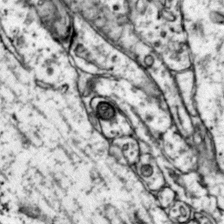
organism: Mouse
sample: Primary visual cortex